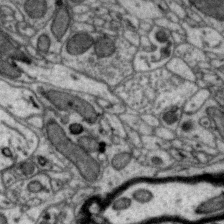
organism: Zebra finch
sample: Brain